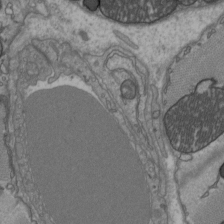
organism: C57BL Mouse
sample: Heart